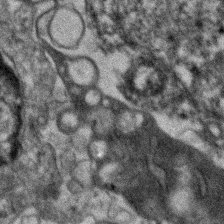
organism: Human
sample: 1205lu cells